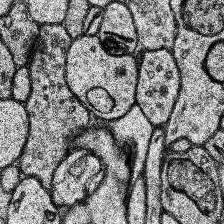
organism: Human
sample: Temporal Lobe